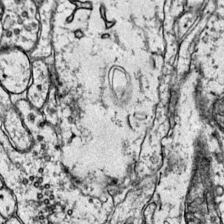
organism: Mouse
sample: Primary visual cortex